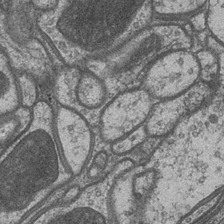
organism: Drosophila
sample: Optic medulla